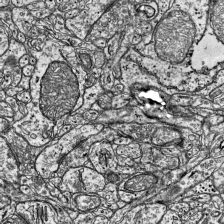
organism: Mouse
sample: Visual Cortex